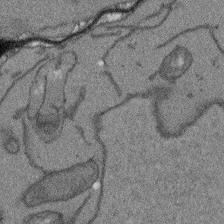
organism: Arabidopsis thaliana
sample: Root tip